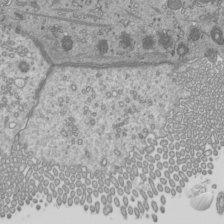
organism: Mouse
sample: Cilia; mouse epididymis